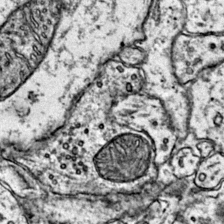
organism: Mouse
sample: Primary visual cortex